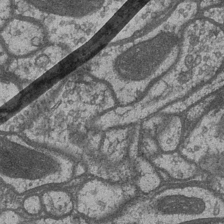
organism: Drosophila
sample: Optic medulla